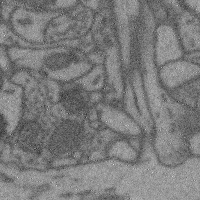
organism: Mouse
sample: Cerebral cortex